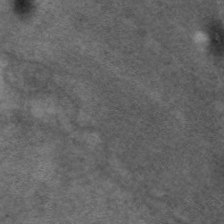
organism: C. elegans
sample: Pharynx